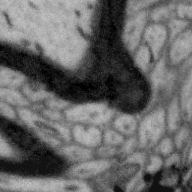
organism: Zebra finch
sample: Brain